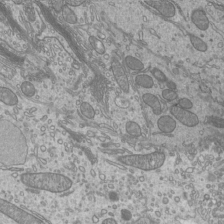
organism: Mouse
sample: Cilia; mouse epididymis